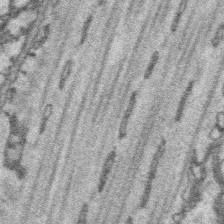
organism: Platynereis dumerilii